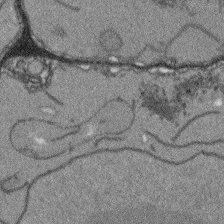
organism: Arabidopsis thaliana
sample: Root tip